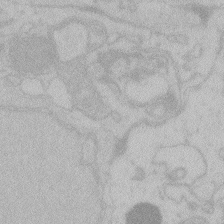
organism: Zebrafish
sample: Macrophage infected with Toxoplasma gondii